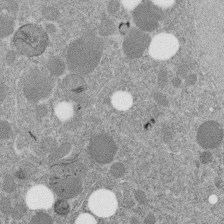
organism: C. elegans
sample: C. elegans embryo early stage